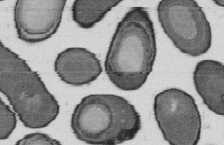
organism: B. subtilis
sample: Bacterial spore